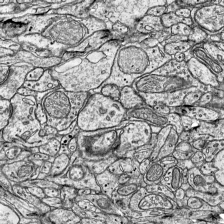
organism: Mouse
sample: Visual Cortex